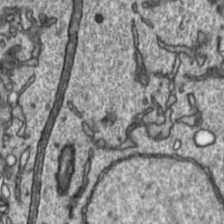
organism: Toxoplasma gondii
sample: Parasites in a vacuole inside a host cell